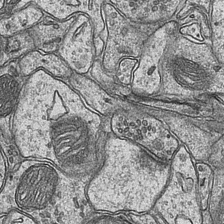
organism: Mouse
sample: CA1 Hippocampus